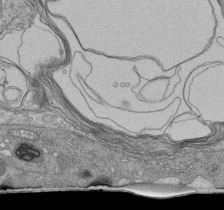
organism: Human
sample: Retinal organoid Rod and Cone cells